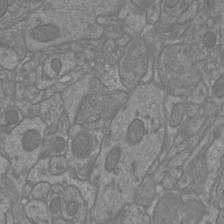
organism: Mouse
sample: Cortical neurons